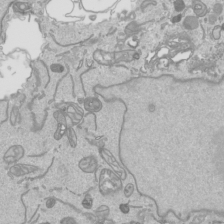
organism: Human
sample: Mitochondria in HCT116 cells